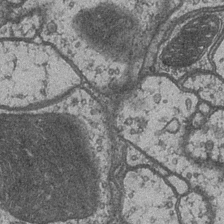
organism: Drosophila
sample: Optic medulla